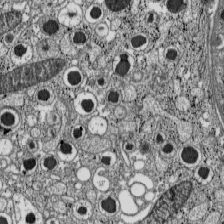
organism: C57BL Mouse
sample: Pancreatic islet